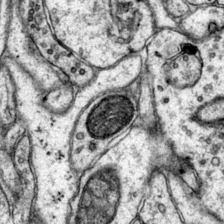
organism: Mouse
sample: Primary visual cortex